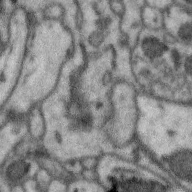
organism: Zebra finch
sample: Brain